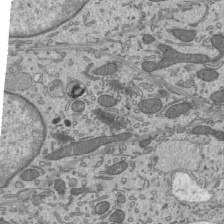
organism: Mouse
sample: Mouse epididymis efferent ductule cilia